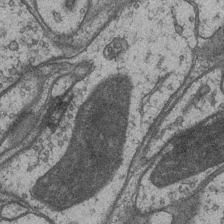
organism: Drosophila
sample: Optic medulla